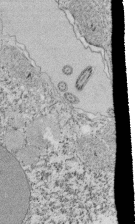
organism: Tetrahymena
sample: Cilia in tetrahymena